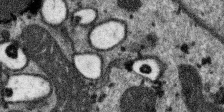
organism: Human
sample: Lung epithelial cells infected with SARS-CoV-2